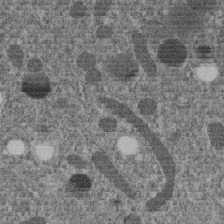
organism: C. elegans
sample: C. elegans embryo early stage